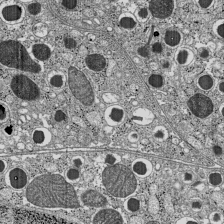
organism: C57BL Mouse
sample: Pancreatic islet